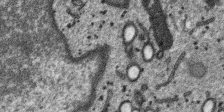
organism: Human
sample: Lung epithelial cells infected with SARS-CoV-2